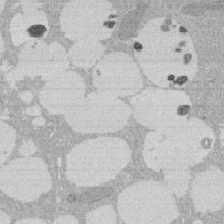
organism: Rat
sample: Salivary granule